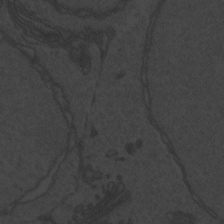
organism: Zebrafish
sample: Macrophage infected with Toxoplasma gondii